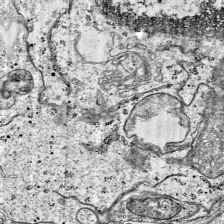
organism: Mouse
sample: Visual Cortex